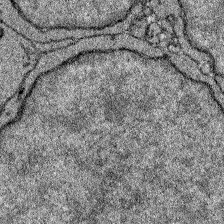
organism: Zebrafish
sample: Larval olfactory bulb